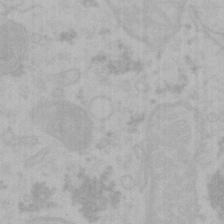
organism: Mouse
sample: Choroid plexus